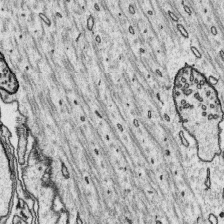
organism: Platynereis dumerilii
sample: Parapodia